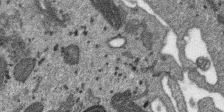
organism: Human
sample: Lung epithelial cells infected with SARS-CoV-2